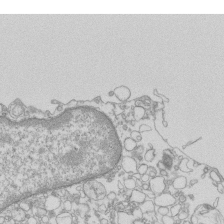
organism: Mouse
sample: Macrophages